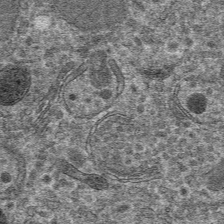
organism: Mouse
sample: Mouse hepatocytes